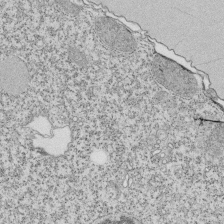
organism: Tetrahymena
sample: Cilia in tetrahymena